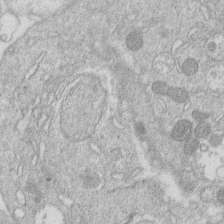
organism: Human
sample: Macrophage cells